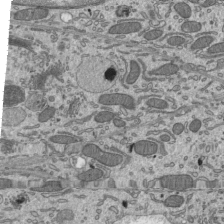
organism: Mouse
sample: Mouse epididymis efferent ductule cilia